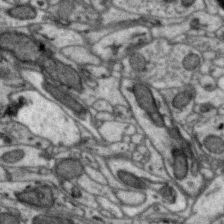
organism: Zebra finch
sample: Brain